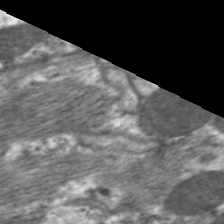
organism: C. elegans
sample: Pharynx